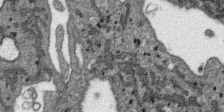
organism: Human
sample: Lung epithelial cells infected with SARS-CoV-2